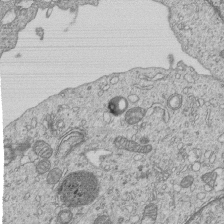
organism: Human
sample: MDA-MB-231 cells